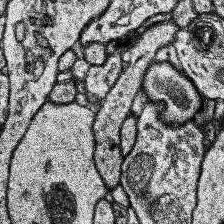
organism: Human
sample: Temporal Lobe